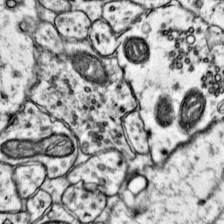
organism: Mouse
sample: Primary visual cortex